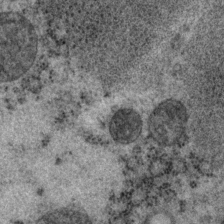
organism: P. pacificus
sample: Pharynx